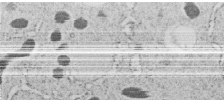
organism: C. elegans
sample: C. elegans embryo early stage